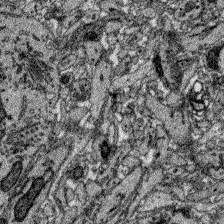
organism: Zebrafish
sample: Larval olfactory bulb